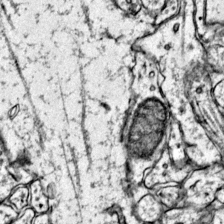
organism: Mouse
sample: Primary visual cortex